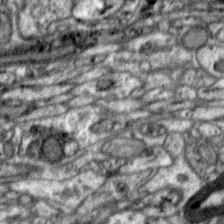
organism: Zebra finch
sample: Brain